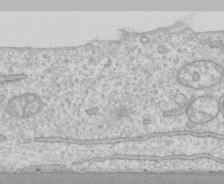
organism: Human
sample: CRL-1474